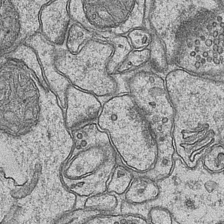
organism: Mouse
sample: CA1 Hippocampus